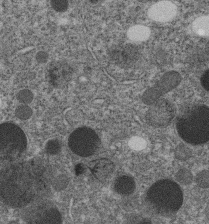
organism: C. elegans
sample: C. elegans embryo early stage